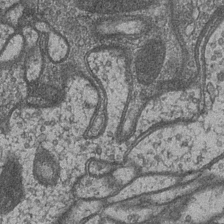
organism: Drosophila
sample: Optic medulla